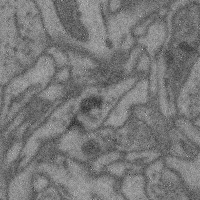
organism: Mouse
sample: Cerebral cortex